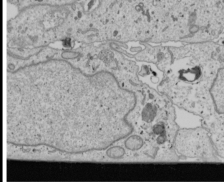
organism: Human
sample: Mitochondria in U2OS cells